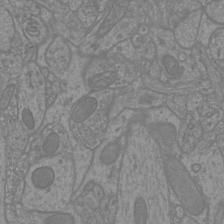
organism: Mouse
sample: Cortical neurons